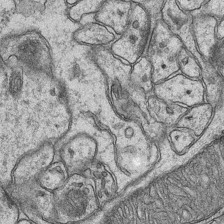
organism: Mouse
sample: CA1 Hippocampus